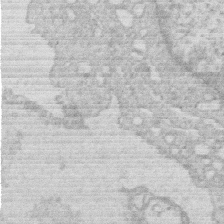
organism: Human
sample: Macrophage cells